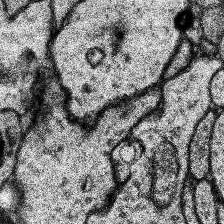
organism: Human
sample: Temporal Lobe